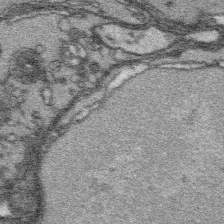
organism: Platynereis dumerilii